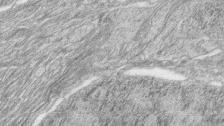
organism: Zebrafish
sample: synaptic ribbons in rod cells and cone cells